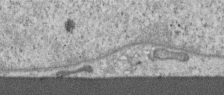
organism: Human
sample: Centriole in RPE cells